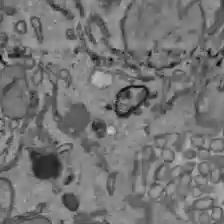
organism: C57BL Mouse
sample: Liver